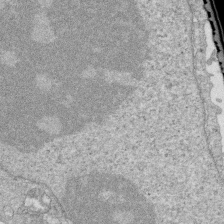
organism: Human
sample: HeLa cell HIV synapse